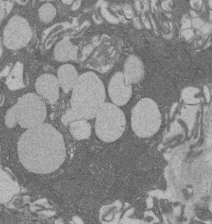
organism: Rat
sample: Salivary granule